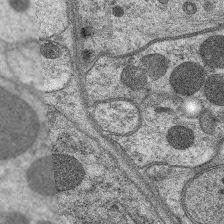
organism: C. elegans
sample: Pharynx